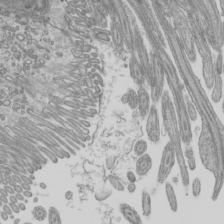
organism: Mouse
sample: Cilia; mouse epididymis